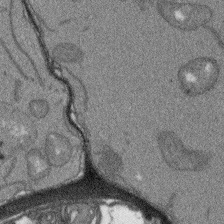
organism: Arabidopsis thaliana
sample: Root tip